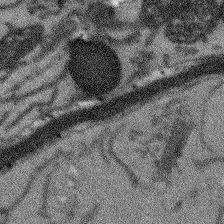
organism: Arabidopsis thaliana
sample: Root tip